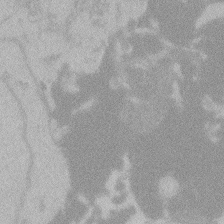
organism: Zebrafish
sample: Macrophage infected with Toxoplasma gondii